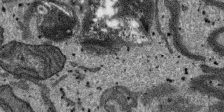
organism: Human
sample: Lung epithelial cells, uninfected (mock) control